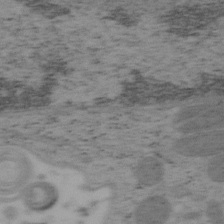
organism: Mouse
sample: OT-I killer T cells with ID8 ovarian cancer cells